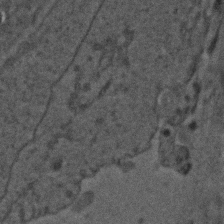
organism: C. elegans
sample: C. elegans embryo